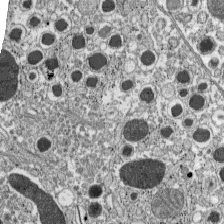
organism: C57BL Mouse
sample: Pancreatic islet